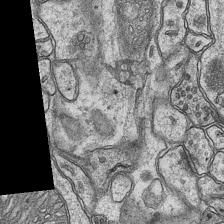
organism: Mouse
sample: CA1 Hippocampus